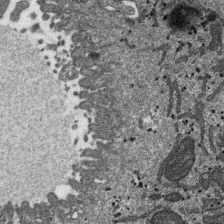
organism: Human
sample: Lung epithelial cells infected with SARS-CoV-2